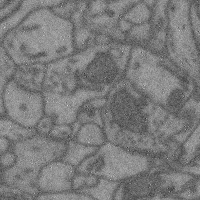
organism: Mouse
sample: Cerebral cortex